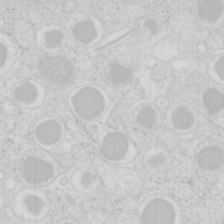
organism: Mouse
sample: Pancreas